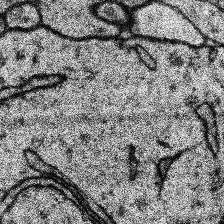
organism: Human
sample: Temporal Lobe